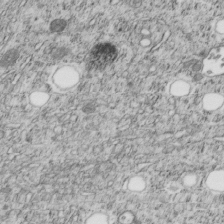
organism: C. elegans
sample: C. elegans embryo early stage